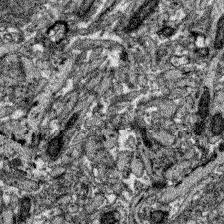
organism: Zebrafish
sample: Larval olfactory bulb